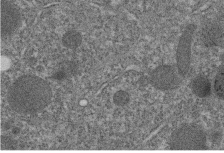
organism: C. elegans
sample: C. elegans embryo early stage